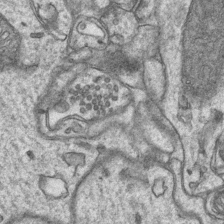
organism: Mouse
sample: CA1 Hippocampus